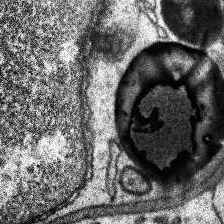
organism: Human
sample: Temporal Lobe